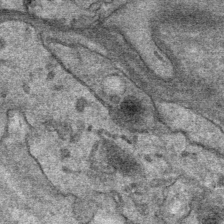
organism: Mouse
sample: Mouse Salivary gland